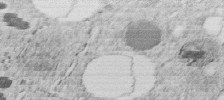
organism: C. elegans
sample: C. elegans embryo early stage